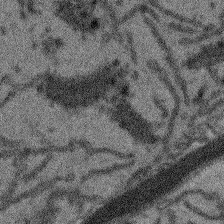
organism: Arabidopsis thaliana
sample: Root tip